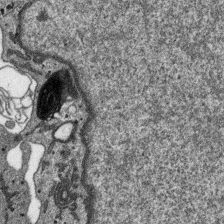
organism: Human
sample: Lung epithelial cells infected with SARS-CoV-2